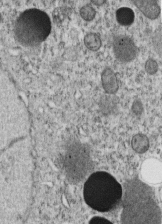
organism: C. elegans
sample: C. elegans embryo early stage